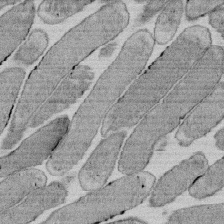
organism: E. coli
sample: Bacterial nucleoid